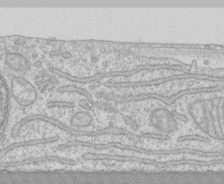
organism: Human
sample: CRL-1474